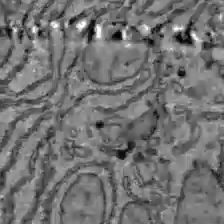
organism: C57BL Mouse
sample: Liver